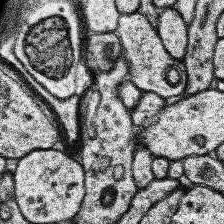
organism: Human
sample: Temporal Lobe